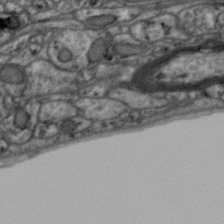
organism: Zebra finch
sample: Brain